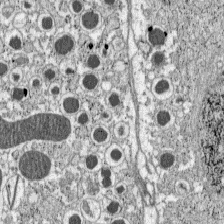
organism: C57BL Mouse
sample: Pancreatic islet